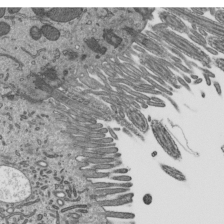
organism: Mouse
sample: Mouse epididymis efferent ductule cilia